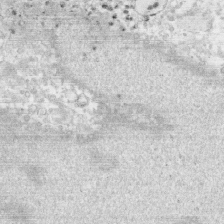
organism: Human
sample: CRL-1474